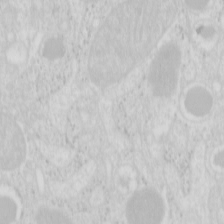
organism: Mouse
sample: Pancreas